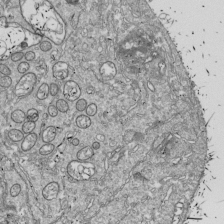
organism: Drosophila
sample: Cell division; meiosis; drosophila spermatocytes